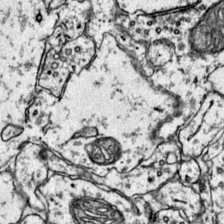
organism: Mouse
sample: Primary visual cortex